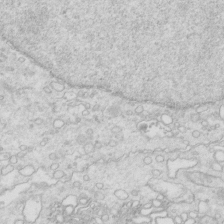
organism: Mouse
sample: Multiciliated cells